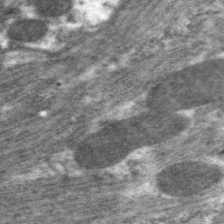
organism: C. elegans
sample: Pharynx